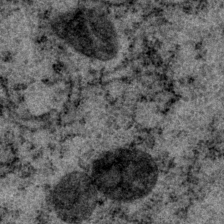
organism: P. pacificus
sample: Pharynx